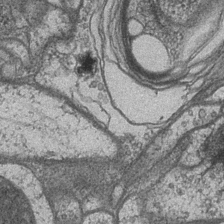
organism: Drosophila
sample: Optic medulla